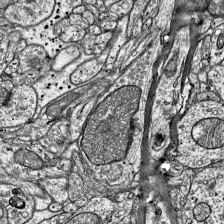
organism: Mouse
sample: Visual Cortex